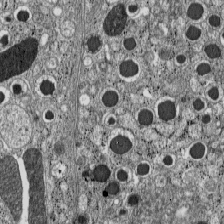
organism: C57BL Mouse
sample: Pancreatic islet